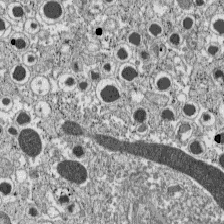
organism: C57BL Mouse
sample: Pancreatic islet